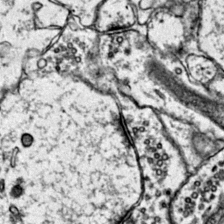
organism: Mouse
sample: Primary visual cortex